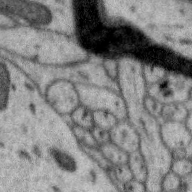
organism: Zebra finch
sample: Brain